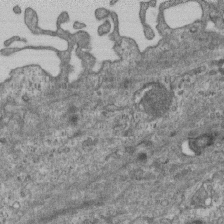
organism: Mouse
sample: Centriole in ependymal cells